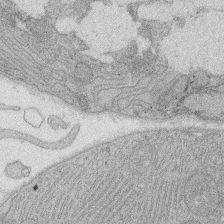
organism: Rat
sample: Salivary granule